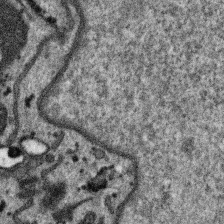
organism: Human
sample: Lung epithelial cells infected with SARS-CoV-2